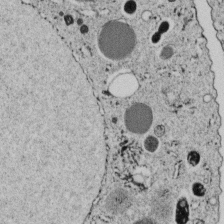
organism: C. elegans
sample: C. elegans embryo early stage